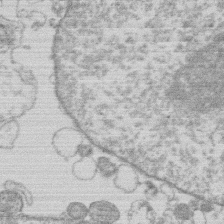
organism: Human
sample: Macrophage cells